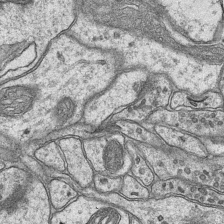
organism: Mouse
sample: CA1 Hippocampus